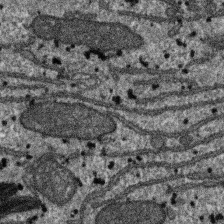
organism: Human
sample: Lung epithelial cells infected with SARS-CoV-2